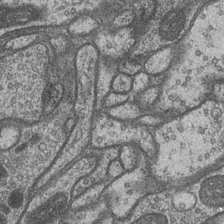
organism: Drosophila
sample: Optic medulla